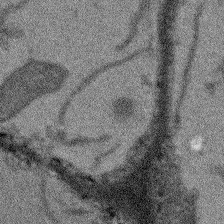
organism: Arabidopsis thaliana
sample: Root tip